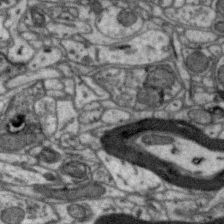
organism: Zebra finch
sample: Brain